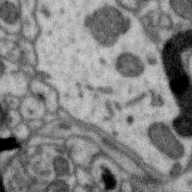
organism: Zebra finch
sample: Brain